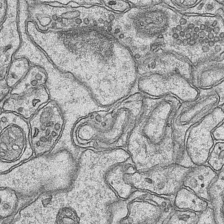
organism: Mouse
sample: CA1 Hippocampus